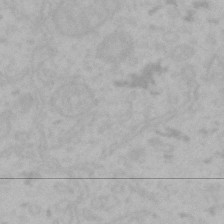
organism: Mouse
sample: Choroid plexus